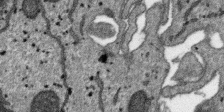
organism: Human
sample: Lung epithelial cells, uninfected (mock) control